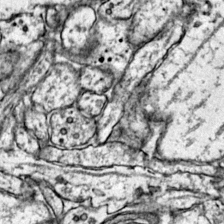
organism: Mouse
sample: Primary visual cortex